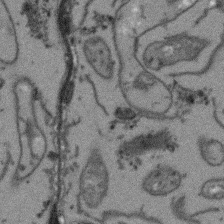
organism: Arabidopsis thaliana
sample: Root tip